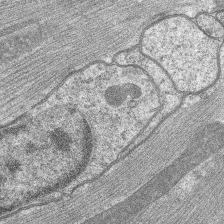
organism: C. elegans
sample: Pharynx